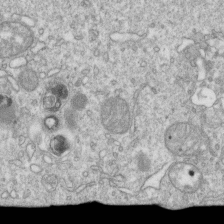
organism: Mouse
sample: Activated OT-1 CD8+ T cells